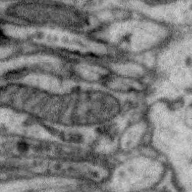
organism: Zebra finch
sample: Brain